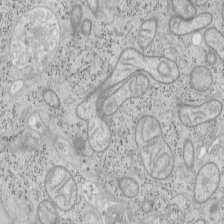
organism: Mouse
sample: OT-I killer T cells with ID8 ovarian cancer cells